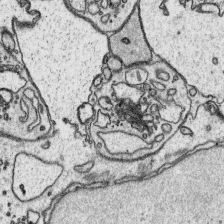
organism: Platynereis dumerilii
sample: Parapodia